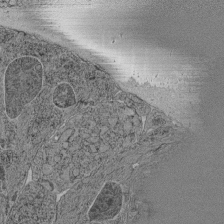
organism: C. elegans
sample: C. elegans pharynx